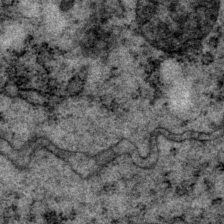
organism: P. pacificus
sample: Pharynx